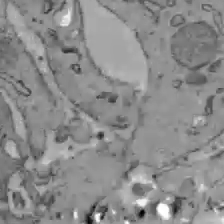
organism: C57BL Mouse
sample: Liver